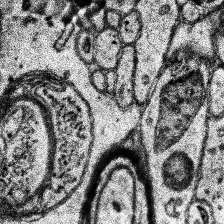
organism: Human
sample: Temporal Lobe